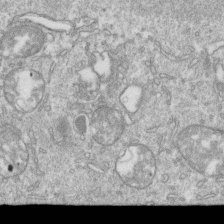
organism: Mouse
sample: Activated OT-1 CD8+ T cells